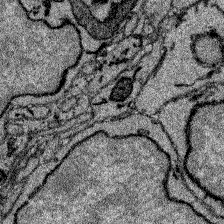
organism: Zebrafish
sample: Larval olfactory bulb